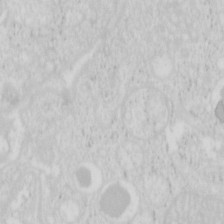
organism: Mouse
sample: Pancreas